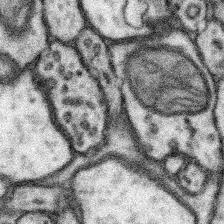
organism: Mouse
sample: Somatosensory cortex neuropil